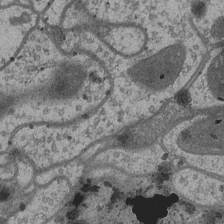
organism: Drosophila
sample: Optic medulla